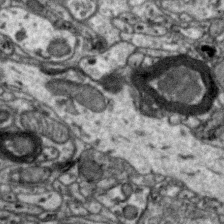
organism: Zebra finch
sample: Brain